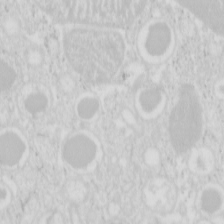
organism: Mouse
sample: Pancreas